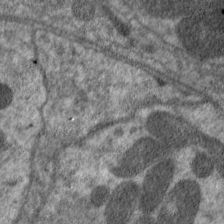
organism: C. elegans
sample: Pharynx